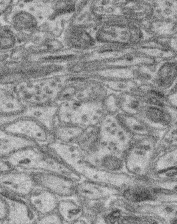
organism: Mouse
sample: Retina